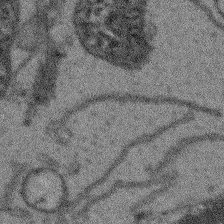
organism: Arabidopsis thaliana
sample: Root tip